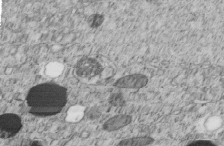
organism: C. elegans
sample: C. elegans embryo early stage